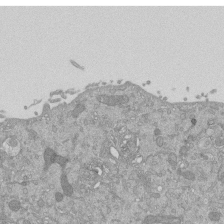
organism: Mouse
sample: ED-1 cell nuclei; centrioles